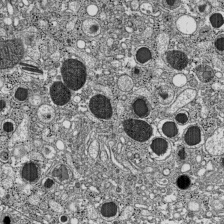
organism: C57BL Mouse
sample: Pancreatic islet